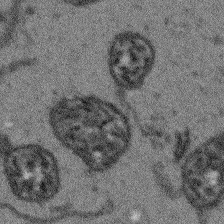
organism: Arabidopsis thaliana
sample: Root tip